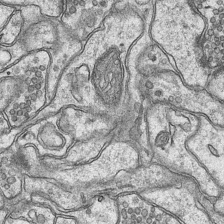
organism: Mouse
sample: CA1 Hippocampus